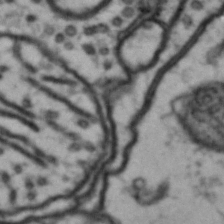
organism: Drosophila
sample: Brain